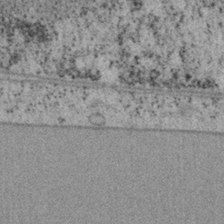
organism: Human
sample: HeLa cells